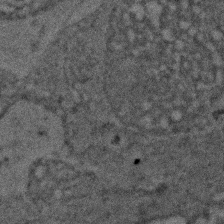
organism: Zebrafish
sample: Zebrafish embryo